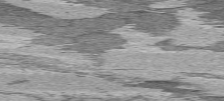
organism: C57BL Mouse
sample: Heart